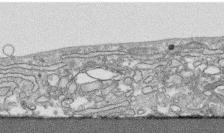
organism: Human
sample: CRL-1474